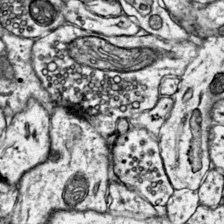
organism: Mouse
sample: Primary visual cortex